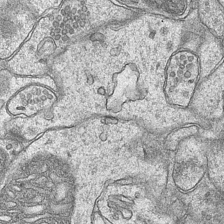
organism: Mouse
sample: CA1 Hippocampus